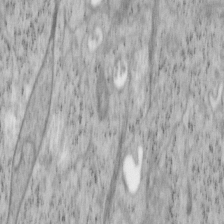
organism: Human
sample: HeLa cells